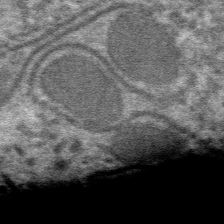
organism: Mouse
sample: Mouse hepatocytes